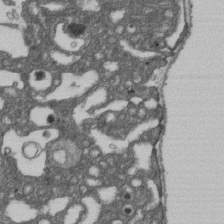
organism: Drosophila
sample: Nephrocyte